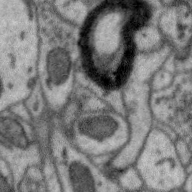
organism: Zebra finch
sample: Brain